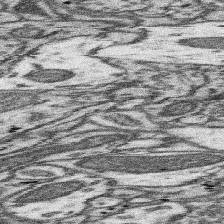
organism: Mouse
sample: Somatosensory cortex neuropil